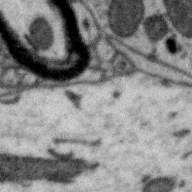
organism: Zebra finch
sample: Brain